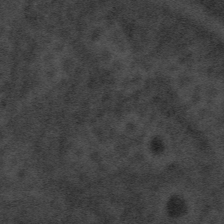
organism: Tuwongella immobilis